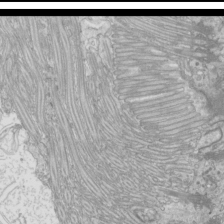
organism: Mouse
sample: Cilia; mouse epididymis